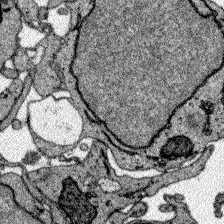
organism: Zebrafish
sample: Larval olfactory bulb